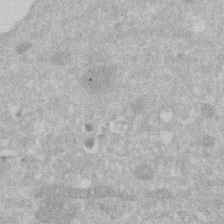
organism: Human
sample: HIV infected U937 cells